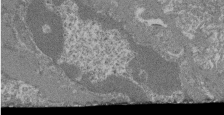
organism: Mouse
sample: Glomerulus